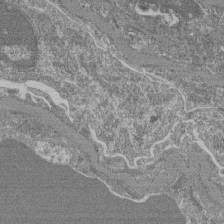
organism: Mouse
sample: Glomerulus